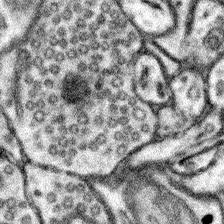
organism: Mouse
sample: Somatosensory cortex neuropil